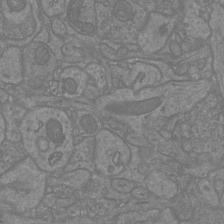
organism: Mouse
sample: Cortical neurons